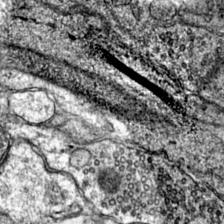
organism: Mouse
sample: Primary visual cortex